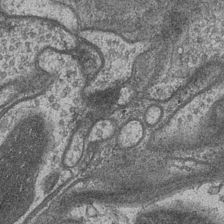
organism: Drosophila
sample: Optic medulla